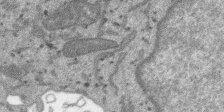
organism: Human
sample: Lung epithelial cells infected with SARS-CoV-2